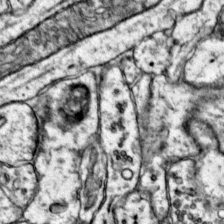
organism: Mouse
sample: Primary visual cortex